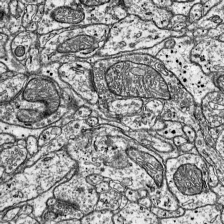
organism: Mouse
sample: Visual Cortex